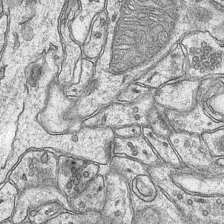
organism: Mouse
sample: CA1 Hippocampus